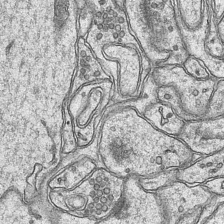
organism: Mouse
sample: CA1 Hippocampus